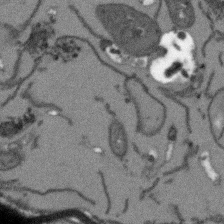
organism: Arabidopsis thaliana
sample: Root tip